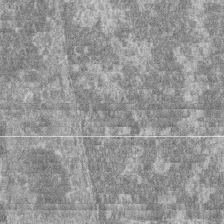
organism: Zebrafish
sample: Cilia; retinal pigment epithelium